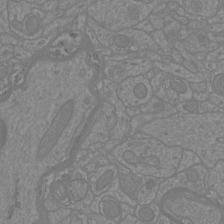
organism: Mouse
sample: Cortical neurons